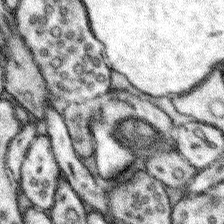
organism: Mouse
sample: Somatosensory cortex neuropil